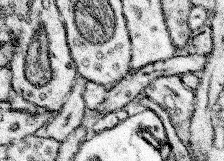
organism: Mouse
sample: Somatosensory cortex neuropil